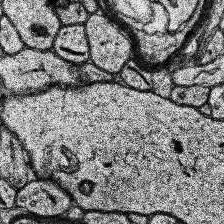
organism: Human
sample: Temporal Lobe